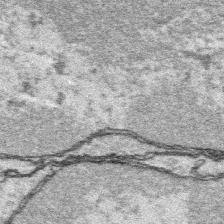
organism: Platynereis dumerilii